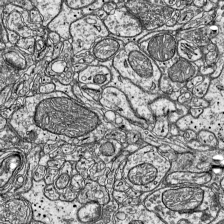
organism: Mouse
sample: Visual Cortex